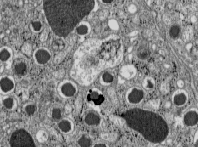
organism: C57BL Mouse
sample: Pancreatic islet